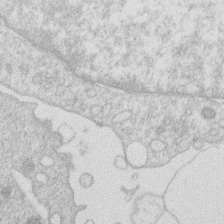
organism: Human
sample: Macrophage cells